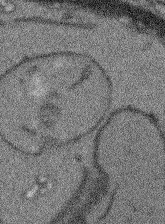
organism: Arabidopsis thaliana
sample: Root tip